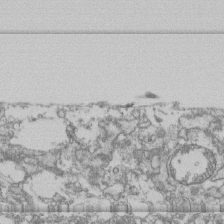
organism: Human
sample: Fibroblast cells